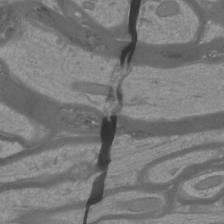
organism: Mouse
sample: Cortical neurons